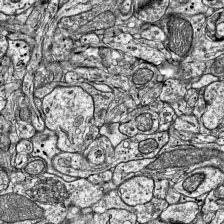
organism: Mouse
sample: Visual Cortex